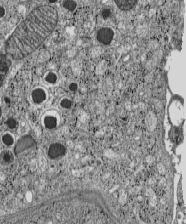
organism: C57BL Mouse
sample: Pancreatic islet